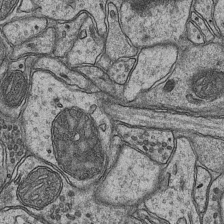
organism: Mouse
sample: CA1 Hippocampus